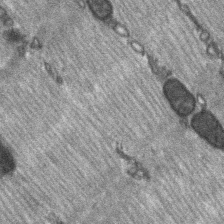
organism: C57BL Mouse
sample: Soleus